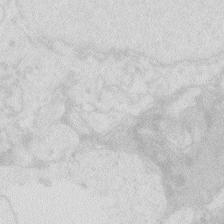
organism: Zebrafish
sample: Macrophage